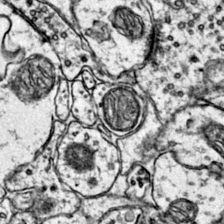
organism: Mouse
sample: Primary visual cortex